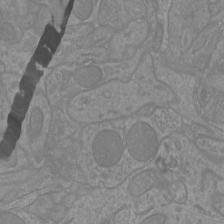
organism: Mouse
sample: Cortical neurons